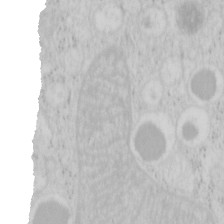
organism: Mouse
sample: Pancreas